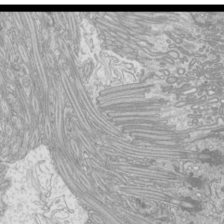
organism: Mouse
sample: Cilia; mouse epididymis